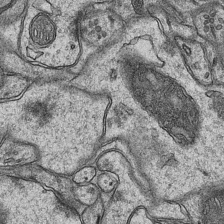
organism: Mouse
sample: CA1 Hippocampus